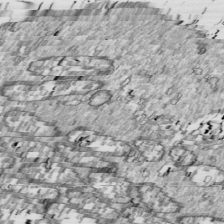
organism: Drosophila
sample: Cell division; meiosis; drosophila spermatocytes